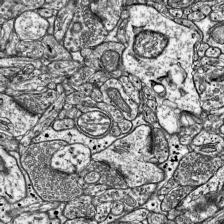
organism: Mouse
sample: Visual Cortex